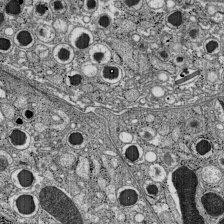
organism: C57BL Mouse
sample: Pancreatic islet